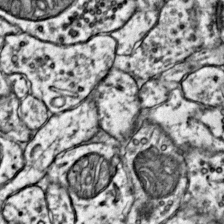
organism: Mouse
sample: Primary visual cortex